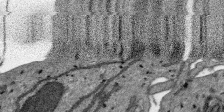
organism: Human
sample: Lung epithelial cells, uninfected (mock) control